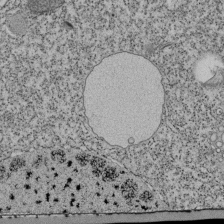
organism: Tetrahymena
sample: Cilia in tetrahymena